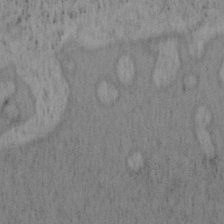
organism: Mouse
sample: OT-I killer T cells with ID8 ovarian cancer cells